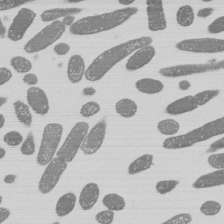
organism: E. coli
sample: Bacterial nucleoid